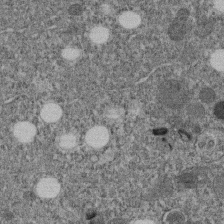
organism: C. elegans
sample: C. elegans embryo early stage